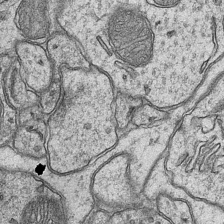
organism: Mouse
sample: CA1 Hippocampus